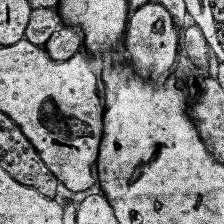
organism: Human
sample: Temporal Lobe